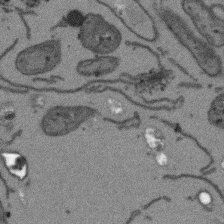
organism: Arabidopsis thaliana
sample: Root tip